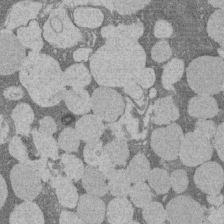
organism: Rat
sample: Salivary granule